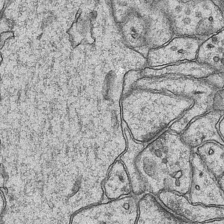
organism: Mouse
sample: CA1 Hippocampus